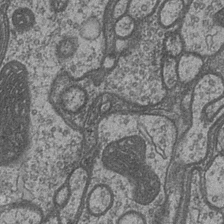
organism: Drosophila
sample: Optic medulla